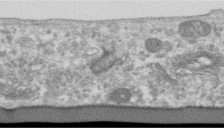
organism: Human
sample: Centriole in RPE cells